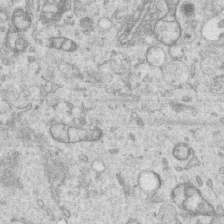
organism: Human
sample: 1205lu cells